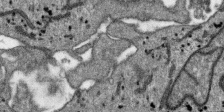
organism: Human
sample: Lung epithelial cells, uninfected (mock) control